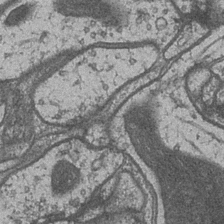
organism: Drosophila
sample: Optic medulla